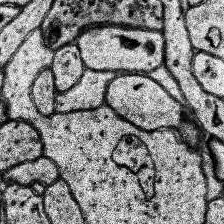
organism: Human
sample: Temporal Lobe